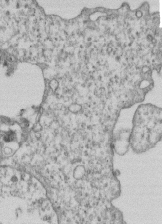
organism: Human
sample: MDA-MB-231 cells